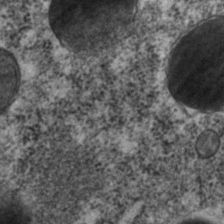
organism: C. elegans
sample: C. elegans embryo